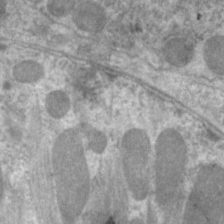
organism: C. elegans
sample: Pharynx